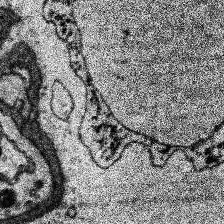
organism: Human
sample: Temporal Lobe